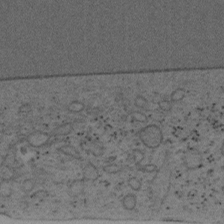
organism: Human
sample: HeLa cells